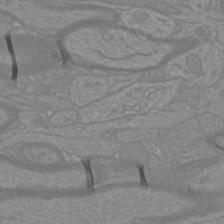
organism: Mouse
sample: Cortical neurons